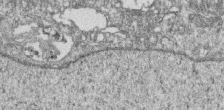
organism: Human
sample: HeLa cell HIV synapse